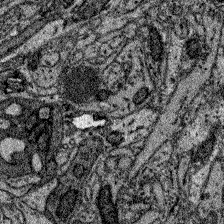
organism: Zebrafish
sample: Larval olfactory bulb